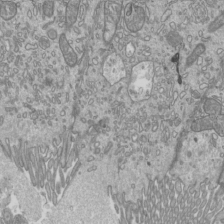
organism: Mouse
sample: Cilia; mouse epididymis